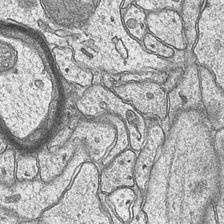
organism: Mouse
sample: CA1 Hippocampus